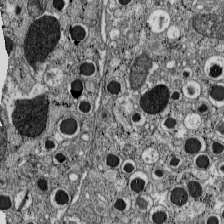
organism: C57BL Mouse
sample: Pancreatic islet